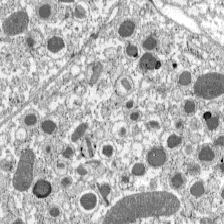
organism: C57BL Mouse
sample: Pancreatic islet